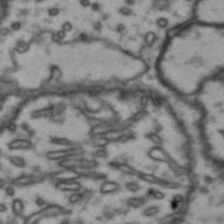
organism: Drosophila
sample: Brain